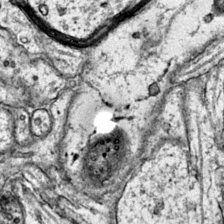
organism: Mouse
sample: Primary visual cortex